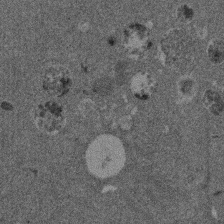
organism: Mouse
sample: Dividing mouse embryo 1 cell stage